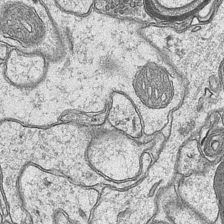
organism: Mouse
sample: CA1 Hippocampus